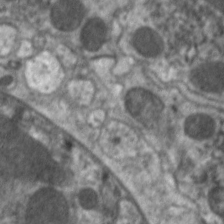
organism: C. elegans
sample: Pharynx